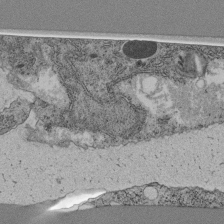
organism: C. elegans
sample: C. elegans pharynx